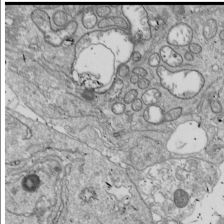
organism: Drosophila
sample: Cell division; meiosis; drosophila spermatocytes